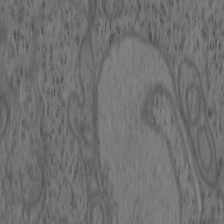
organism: Human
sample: HeLa cells